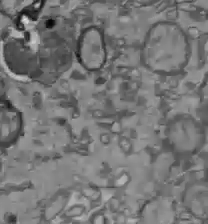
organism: C57BL Mouse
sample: Liver